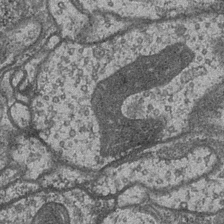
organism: Drosophila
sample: Optic medulla